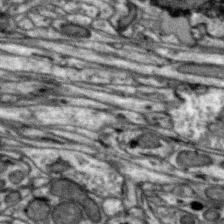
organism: Zebra finch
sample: Brain